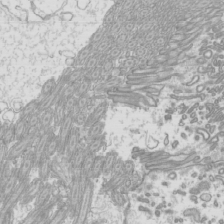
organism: Mouse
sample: Cilia; mouse epididymis